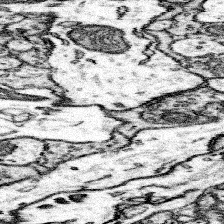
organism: Mouse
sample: Somatosensory cortex neuropil